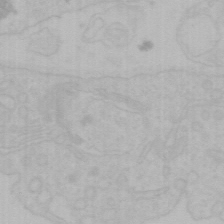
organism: Mouse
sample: Choroid plexus